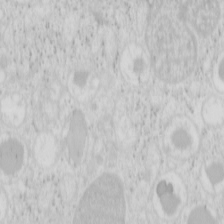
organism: Mouse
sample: Pancreas